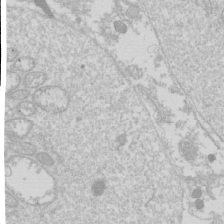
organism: Drosophila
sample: Cell division; meiosis; drosophila spermatocytes